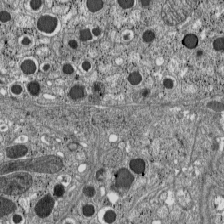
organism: C57BL Mouse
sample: Pancreatic islet